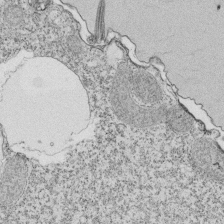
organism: Tetrahymena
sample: Cilia in tetrahymena